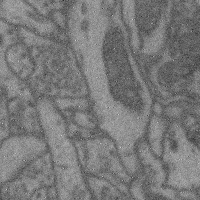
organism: Mouse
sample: Cerebral cortex